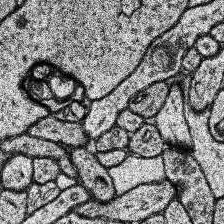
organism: Human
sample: Temporal Lobe